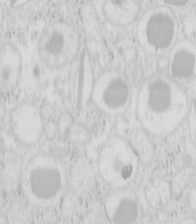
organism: Mouse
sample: Pancreas